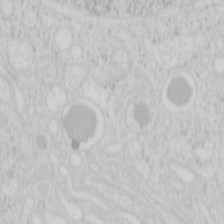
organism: Mouse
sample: Pancreas